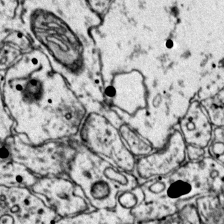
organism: Mouse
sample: Primary visual cortex